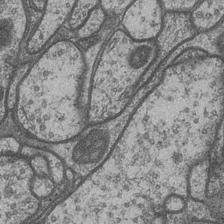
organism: Drosophila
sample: Optic medulla